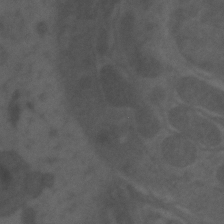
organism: Zebrafish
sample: Zebrafish embryo